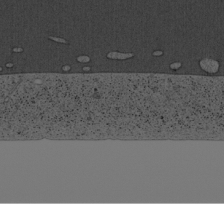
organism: African green monkey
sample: COS-7 cells